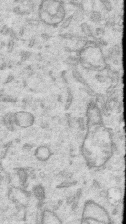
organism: Human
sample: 1205lu cells